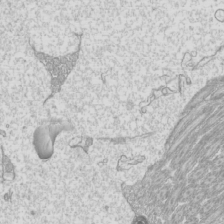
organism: Mouse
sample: Cilia; mouse epididymis